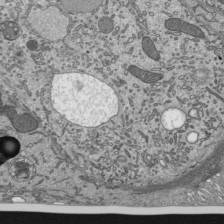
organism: Mouse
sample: Mouse epididymis efferent ductule cilia